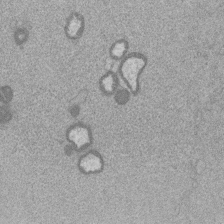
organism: Mouse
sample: Dividing mouse embryo 1 cell stage